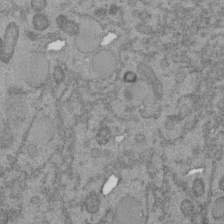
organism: C. elegans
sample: C. elegans embryo early stage